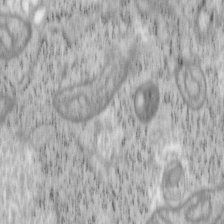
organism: Human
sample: HeLa cells